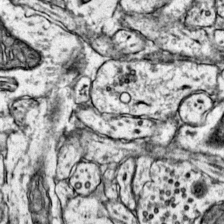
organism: Mouse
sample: Primary visual cortex